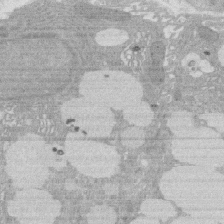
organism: Rat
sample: Salivary granule